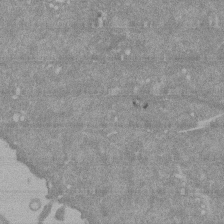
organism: Mouse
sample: ED-1 cell nuclei; centrioles